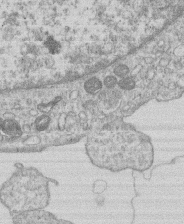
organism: Human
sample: Macrophage cells